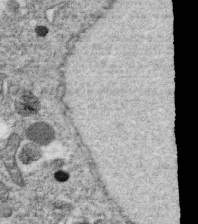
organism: C. elegans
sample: C. elegans oocyte; sperm cells